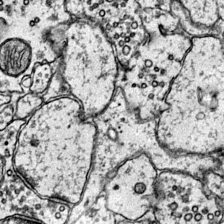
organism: Mouse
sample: Primary visual cortex